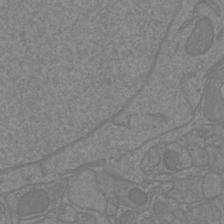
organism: Mouse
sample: Cortical neurons